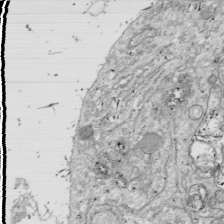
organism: Drosophila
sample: Cell division; meiosis; drosophila spermatocytes